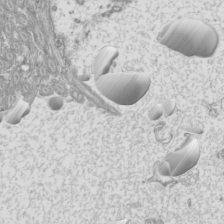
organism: Mouse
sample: Cilia; mouse epididymis